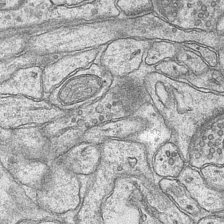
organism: Mouse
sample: CA1 Hippocampus